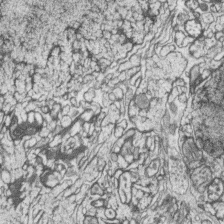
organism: Zebrafish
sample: synaptic ribbons in rod cells and cone cells